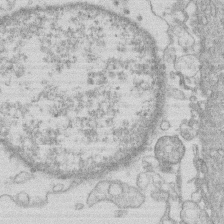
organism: Human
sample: Macrophage cells